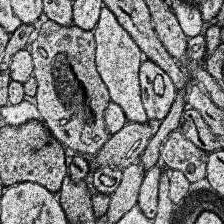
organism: Human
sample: Temporal Lobe